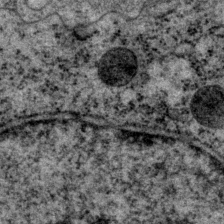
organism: P. pacificus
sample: Pharynx